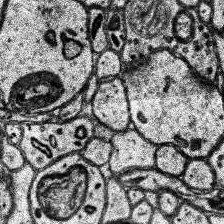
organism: Human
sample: Temporal Lobe